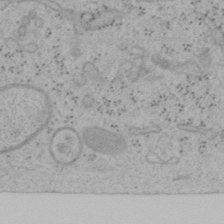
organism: Human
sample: HeLa cells